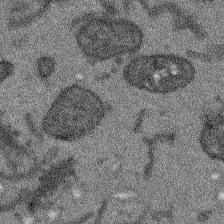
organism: Arabidopsis thaliana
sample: Root tip